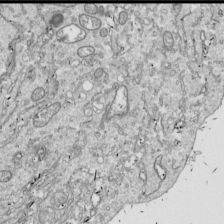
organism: Drosophila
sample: Cell division; meiosis; drosophila spermatocytes